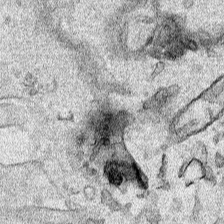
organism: Human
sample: Mitochondria in HCT116 cells